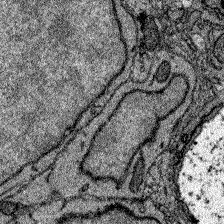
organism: Zebrafish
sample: Larval olfactory bulb